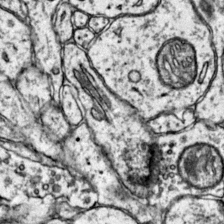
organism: Mouse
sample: Primary visual cortex